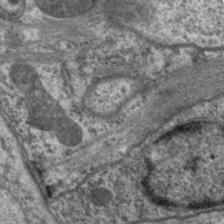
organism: C. elegans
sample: Pharynx